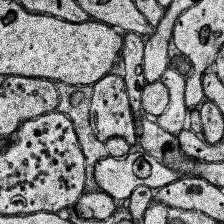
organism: Human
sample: Temporal Lobe